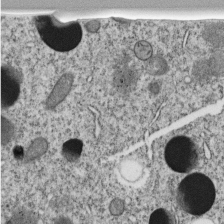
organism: C. elegans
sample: C. elegans embryo early stage